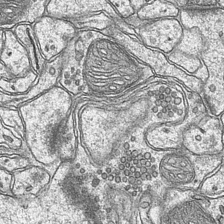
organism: Mouse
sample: CA1 Hippocampus